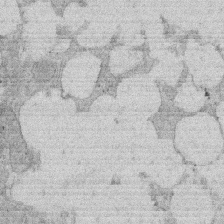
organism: Rat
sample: Salivary granule